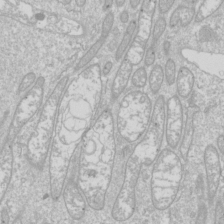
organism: Drosophila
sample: Cell division; meiosis; drosophila spermatocytes